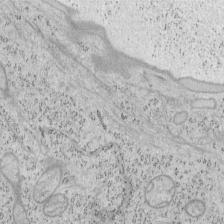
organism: Mouse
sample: OT-I killer T cells with ID8 ovarian cancer cells